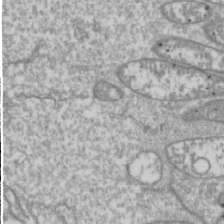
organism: Drosophila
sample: Cell division; meiosis; drosophila spermatocytes